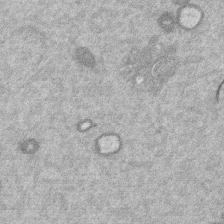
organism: Mouse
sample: Dividing mouse embryo 1 cell stage